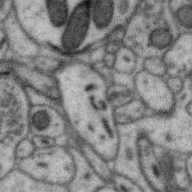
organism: Zebra finch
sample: Brain